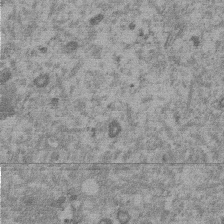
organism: Mouse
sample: Dividing mouse embryo 1 cell stage